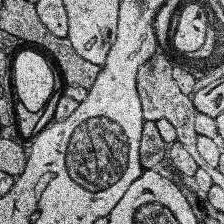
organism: Human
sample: Temporal Lobe